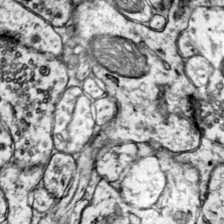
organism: Mouse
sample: Primary visual cortex